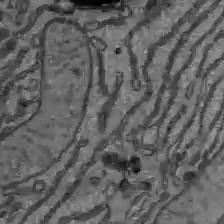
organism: C57BL Mouse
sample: Liver